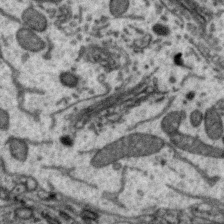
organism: Zebra finch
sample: Brain